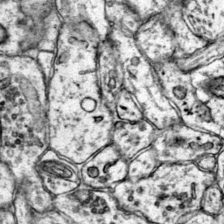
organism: Mouse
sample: Primary visual cortex